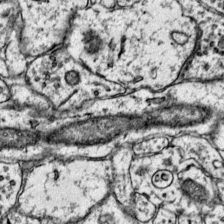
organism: Mouse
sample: Primary visual cortex